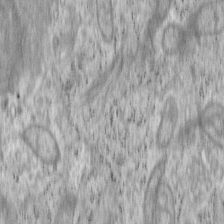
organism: Human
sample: HeLa cells